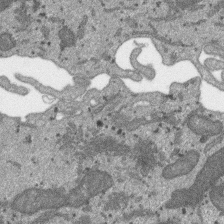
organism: Human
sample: Lung epithelial cells infected with SARS-CoV-2